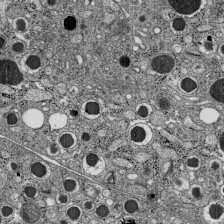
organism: C57BL Mouse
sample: Pancreatic islet